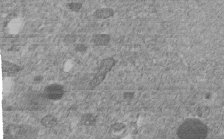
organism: C. elegans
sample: C. elegans embryo early stage